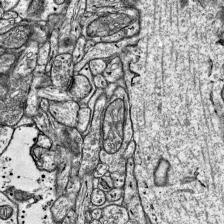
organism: Mouse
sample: Visual Cortex